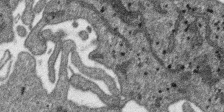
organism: Human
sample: Lung epithelial cells infected with SARS-CoV-2